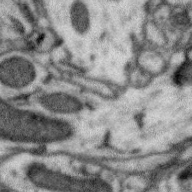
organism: Zebra finch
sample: Brain